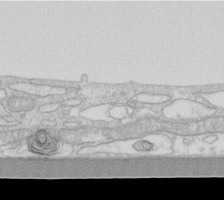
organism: Human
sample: Fibroblast cells